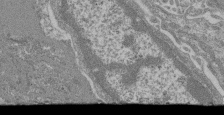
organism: Mouse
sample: Glomerulus